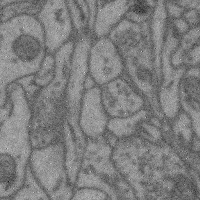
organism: Mouse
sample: Cerebral cortex